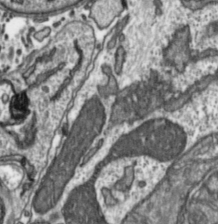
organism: Toxoplasma gondii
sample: Parasites in a vacuole inside a host cell